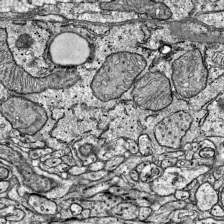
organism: Mouse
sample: Visual Cortex